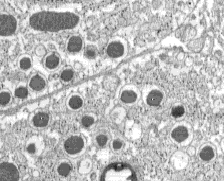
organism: C57BL Mouse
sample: Pancreatic islet